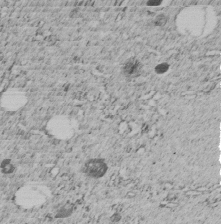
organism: C. elegans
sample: C. elegans embryo early stage